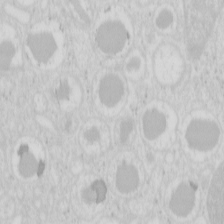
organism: Mouse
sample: Pancreas